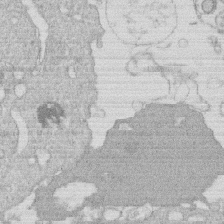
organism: Human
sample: Macrophage cells